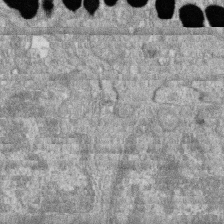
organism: Zebrafish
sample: Cilia; retinal pigment epithelium